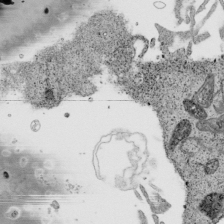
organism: Human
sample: Mitochondria in HCT116 cells